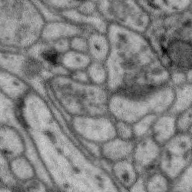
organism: Zebra finch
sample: Brain